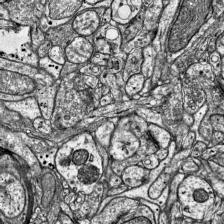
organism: Mouse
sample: Visual Cortex